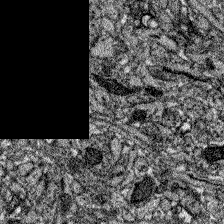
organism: Zebrafish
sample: Larval olfactory bulb